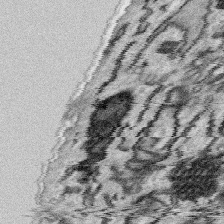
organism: Human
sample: HeLa cells